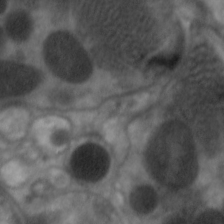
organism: C. elegans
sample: Pharynx